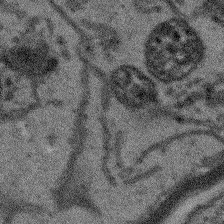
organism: Arabidopsis thaliana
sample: Root tip